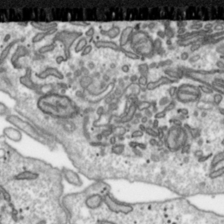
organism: Toxoplasma gondii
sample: Parasites in a vacuole inside a host cell